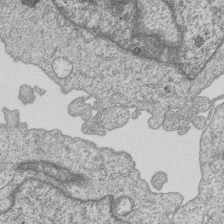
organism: Human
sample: MDA-MB-231 cells